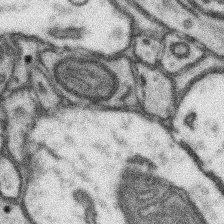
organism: Mouse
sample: Somatosensory cortex neuropil